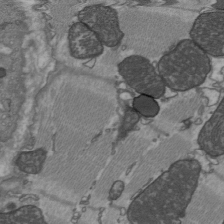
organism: C57BL Mouse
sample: Heart